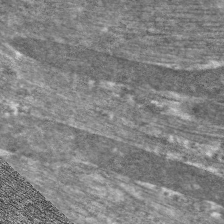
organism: C. elegans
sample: Pharynx